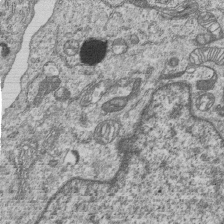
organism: Human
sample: MDA-MB-231 cells